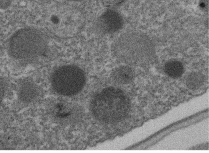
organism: C. elegans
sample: C. elegans embryo early stage